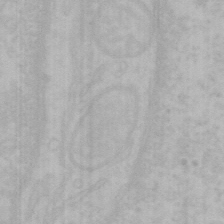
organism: Mouse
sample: Choroid plexus